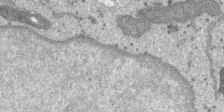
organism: Human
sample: Lung epithelial cells infected with SARS-CoV-2